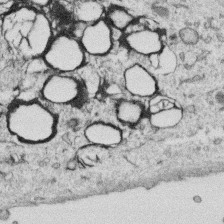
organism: Human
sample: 1205lu cells